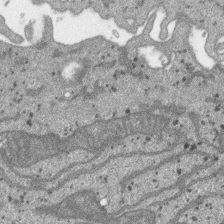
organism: Human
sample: Lung epithelial cells infected with SARS-CoV-2